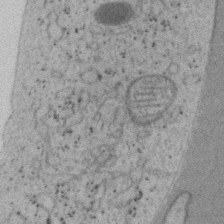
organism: Human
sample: HeLa cells